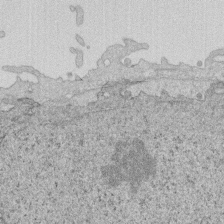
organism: Human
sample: HeLa cell HIV synapse